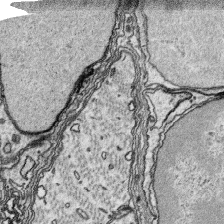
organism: Platynereis dumerilii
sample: Parapodia